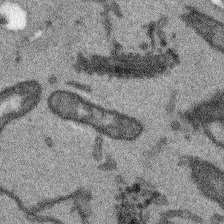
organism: Arabidopsis thaliana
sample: Root tip